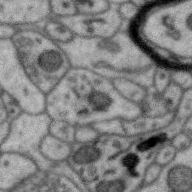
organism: Zebra finch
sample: Brain